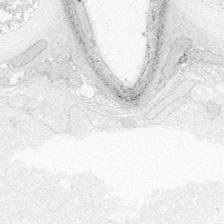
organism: Zebrafish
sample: Whole-Brain